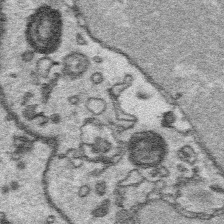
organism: Platynereis dumerilii